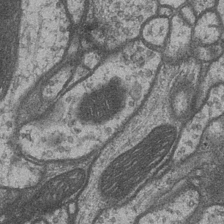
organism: Drosophila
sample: Optic medulla